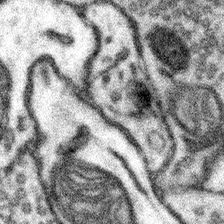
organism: Mouse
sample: Somatosensory cortex neuropil